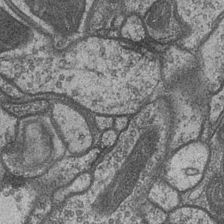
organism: Drosophila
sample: Optic medulla